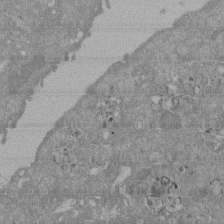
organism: Mouse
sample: ED-1 cell nuclei; centrioles